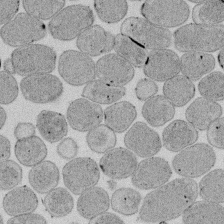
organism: E. coli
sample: Bacterial nucleoid